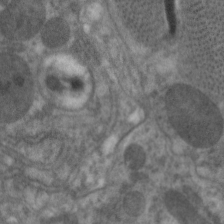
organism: C. elegans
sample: Pharynx